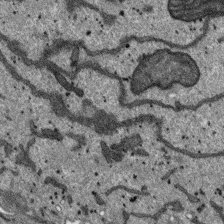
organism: Human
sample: Lung epithelial cells, uninfected (mock) control